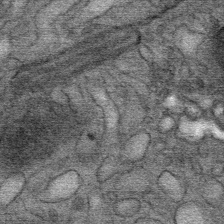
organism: Mouse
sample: Mouse Salivary gland